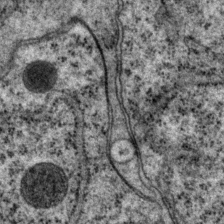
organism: P. pacificus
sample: Pharynx